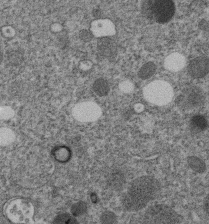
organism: C. elegans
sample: C. elegans embryo early stage